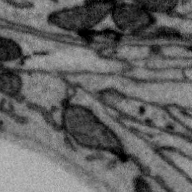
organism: Zebra finch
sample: Brain